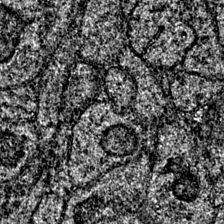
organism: Mouse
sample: Primary visual cortex